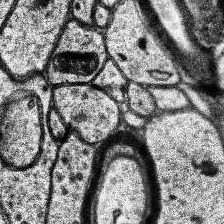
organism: Human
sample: Temporal Lobe